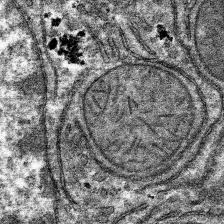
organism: Mouse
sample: Mouse hepatocytes